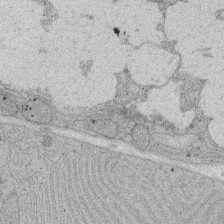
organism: Rat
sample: Salivary granule